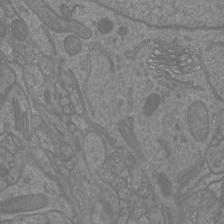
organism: Mouse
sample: Cortical neurons